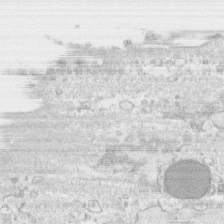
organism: Human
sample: CRL-1474